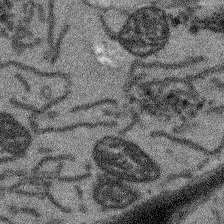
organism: Arabidopsis thaliana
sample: Root tip